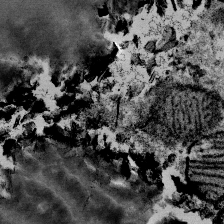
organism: Mouse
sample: Mouse Salivary gland